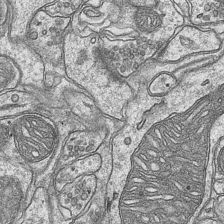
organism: Mouse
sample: CA1 Hippocampus